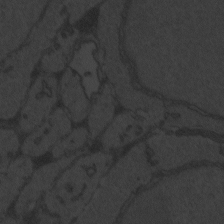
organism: Zebrafish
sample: Macrophage infected with Toxoplasma gondii